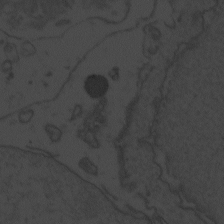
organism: Zebrafish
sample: Macrophage infected with Toxoplasma gondii